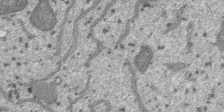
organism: Human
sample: Lung epithelial cells infected with SARS-CoV-2